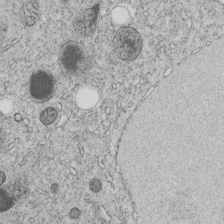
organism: C. elegans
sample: C. elegans embryo early stage